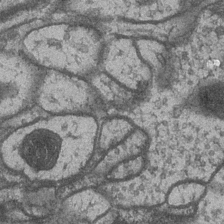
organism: Drosophila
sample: Optic medulla